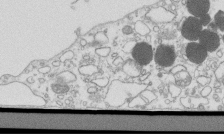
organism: Mouse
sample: Macrophages